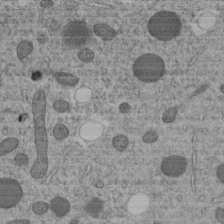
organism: C. elegans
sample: C. elegans embryo early stage